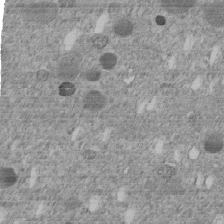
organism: C. elegans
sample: C. elegans embryo early stage